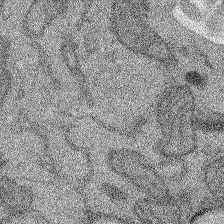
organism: Human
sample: HeLa cells